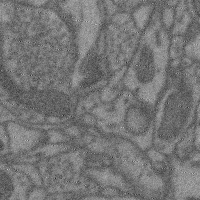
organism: Mouse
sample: Cerebral cortex